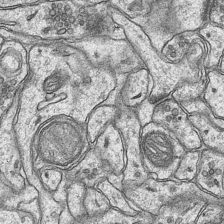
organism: Mouse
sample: CA1 Hippocampus